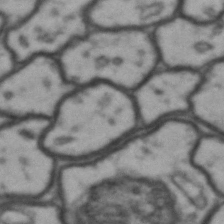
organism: Drosophila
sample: Brain